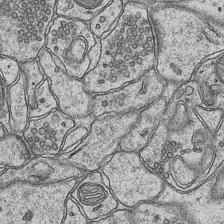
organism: Mouse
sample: CA1 Hippocampus